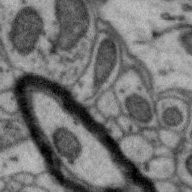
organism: Zebra finch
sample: Brain